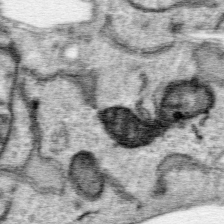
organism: Human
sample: HeLa cells